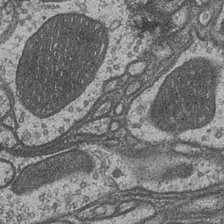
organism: Drosophila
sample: Optic medulla